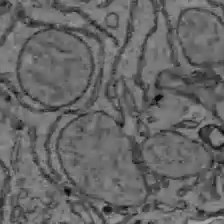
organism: C57BL Mouse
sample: Liver